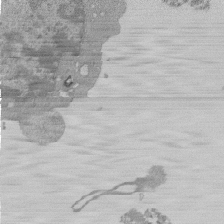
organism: Mouse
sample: Activated Pmel transgenic CD8+ T Cells